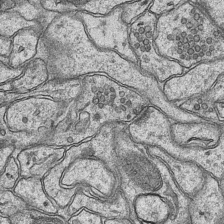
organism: Mouse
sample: CA1 Hippocampus